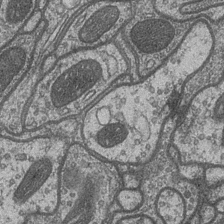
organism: Drosophila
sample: Optic medulla